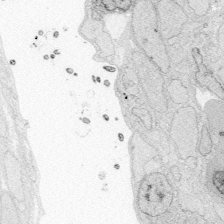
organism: Zebrafish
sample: Whole-Brain